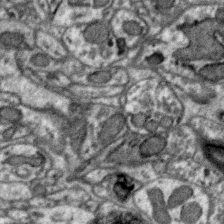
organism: Zebra finch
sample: Brain